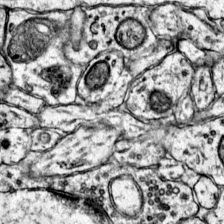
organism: Mouse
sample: Primary visual cortex